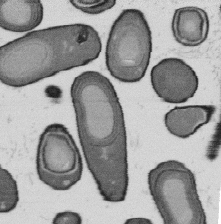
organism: B. subtilis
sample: Bacterial spore